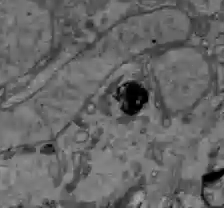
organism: C57BL Mouse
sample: Liver